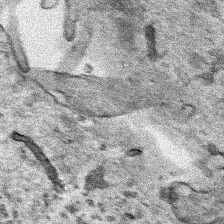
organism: Human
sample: Mitochondria in HCT116 cells